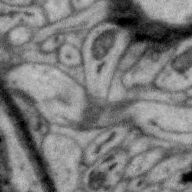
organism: Zebra finch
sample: Brain